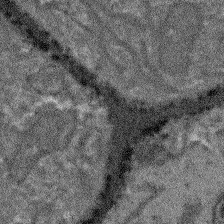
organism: Arabidopsis thaliana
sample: Root tip